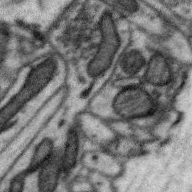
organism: Zebra finch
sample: Brain